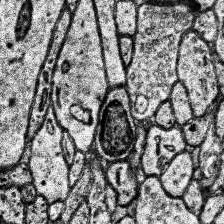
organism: Human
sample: Temporal Lobe